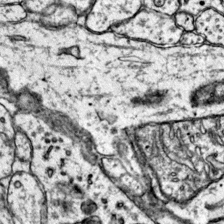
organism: Mouse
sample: Primary visual cortex